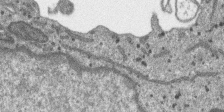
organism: Human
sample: Lung epithelial cells infected with SARS-CoV-2